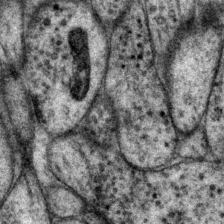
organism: P. pacificus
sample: Pharynx